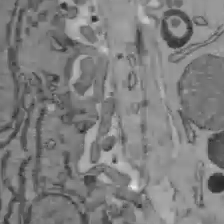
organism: C57BL Mouse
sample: Liver